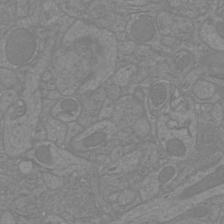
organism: Mouse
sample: Cortical neurons